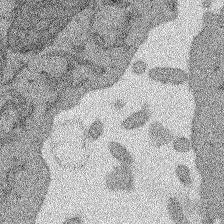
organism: Human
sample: HeLa cells